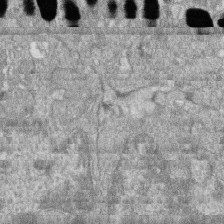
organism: Zebrafish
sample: Cilia; retinal pigment epithelium